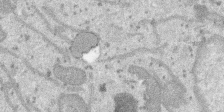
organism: Human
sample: Lung epithelial cells infected with SARS-CoV-2